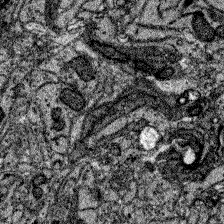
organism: Zebrafish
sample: Larval olfactory bulb